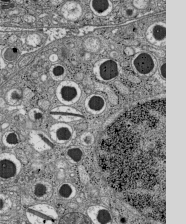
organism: C57BL Mouse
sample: Pancreatic islet